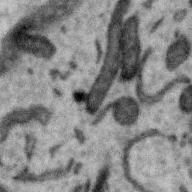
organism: Zebra finch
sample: Brain